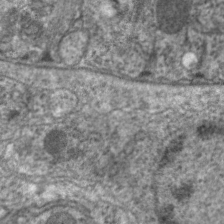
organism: C. elegans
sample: Pharynx